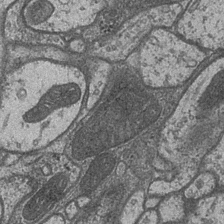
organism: Drosophila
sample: Optic medulla